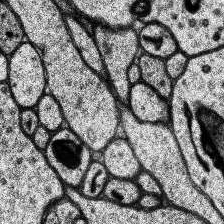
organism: Human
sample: Temporal Lobe